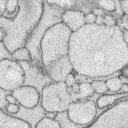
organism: Rabbit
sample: Retina